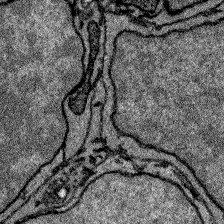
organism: Zebrafish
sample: Larval olfactory bulb